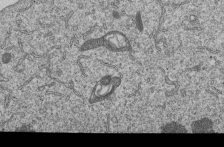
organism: Human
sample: MDA-MB-231 cells